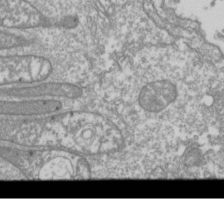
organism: Drosophila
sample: Cell division; meiosis; drosophila spermatocytes